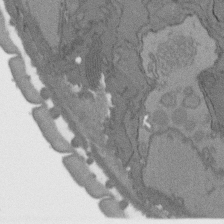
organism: C. elegans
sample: AFD neurons C. elegans